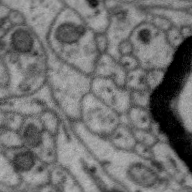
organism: Zebra finch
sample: Brain